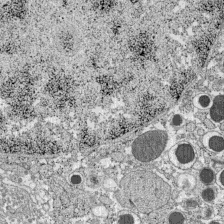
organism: C57BL Mouse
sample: Pancreatic islet